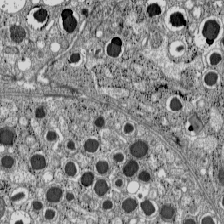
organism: C57BL Mouse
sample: Pancreatic islet